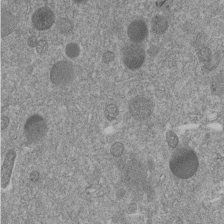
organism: C. elegans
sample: C. elegans embryo early stage